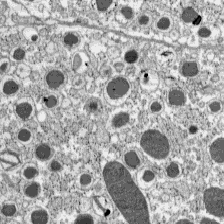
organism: C57BL Mouse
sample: Pancreatic islet